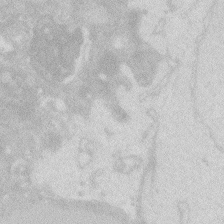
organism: Zebrafish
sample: Macrophage